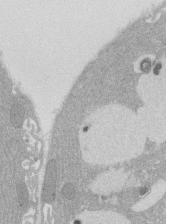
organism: Rat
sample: Salivary granule